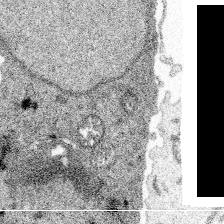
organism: Spongilla lacustris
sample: Multiple